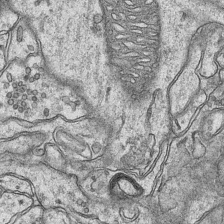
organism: Mouse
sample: CA1 Hippocampus